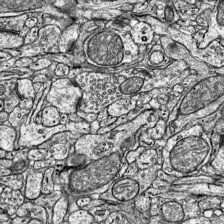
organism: Mouse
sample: Visual Cortex